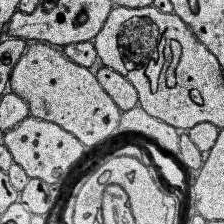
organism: Human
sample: Temporal Lobe